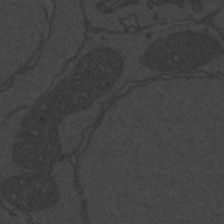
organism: Zebrafish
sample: Macrophage infected with Toxoplasma gondii